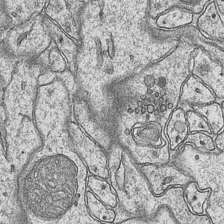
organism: Mouse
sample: CA1 Hippocampus